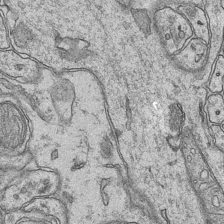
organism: Mouse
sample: CA1 Hippocampus